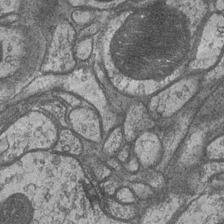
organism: Drosophila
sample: Optic medulla